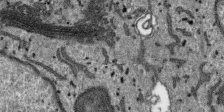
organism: Human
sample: Lung epithelial cells, uninfected (mock) control